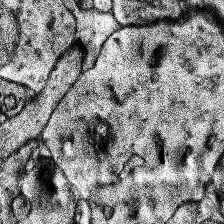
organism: Human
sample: Temporal Lobe